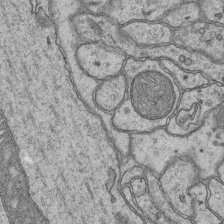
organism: Mouse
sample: CA1 Hippocampus